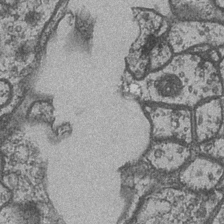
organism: Drosophila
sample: Optic medulla